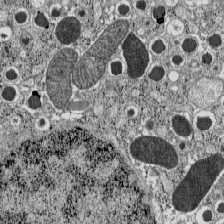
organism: C57BL Mouse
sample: Pancreatic islet